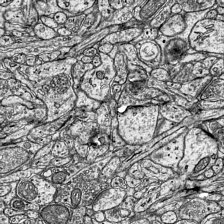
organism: Mouse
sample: Visual Cortex